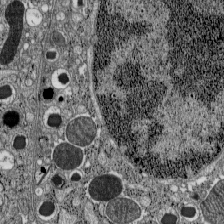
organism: C57BL Mouse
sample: Pancreatic islet